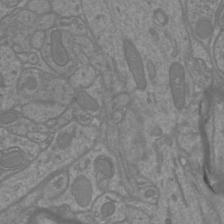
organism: Mouse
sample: Cortical neurons